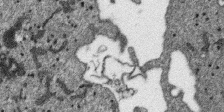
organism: Human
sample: Lung epithelial cells infected with SARS-CoV-2